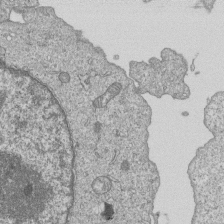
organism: Human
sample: MDA-MB-231 cells